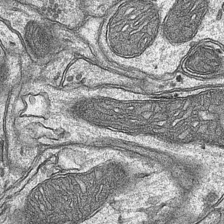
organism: Mouse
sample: CA1 Hippocampus